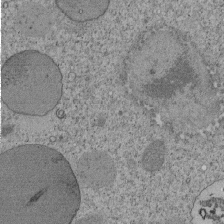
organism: Tetrahymena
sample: Cilia in tetrahymena